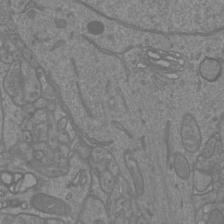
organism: Mouse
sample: Cortical neurons